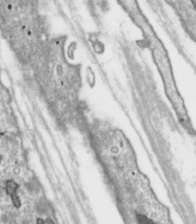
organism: Toxoplasma gondii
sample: Parasites in a vacuole inside a host cell